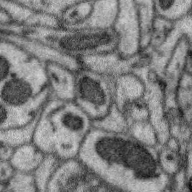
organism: Zebra finch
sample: Brain